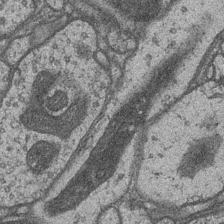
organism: Drosophila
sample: Optic medulla